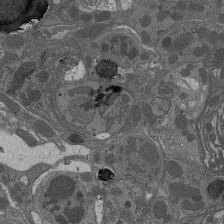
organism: Drosophila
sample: Antenna